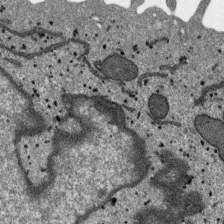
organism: Human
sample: Lung epithelial cells, uninfected (mock) control